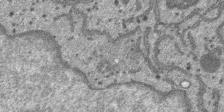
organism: Human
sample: Lung epithelial cells infected with SARS-CoV-2